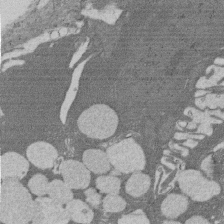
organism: Rat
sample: Salivary granule